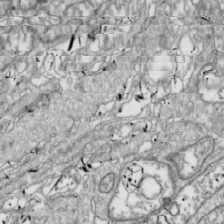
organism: Drosophila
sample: Cell division; meiosis; drosophila spermatocytes